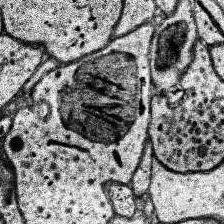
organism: Human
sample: Temporal Lobe